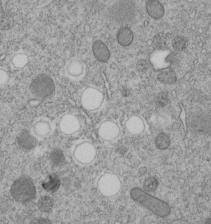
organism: C. elegans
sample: C. elegans embryo early stage